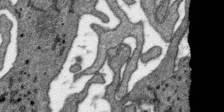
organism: Human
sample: Lung epithelial cells, uninfected (mock) control